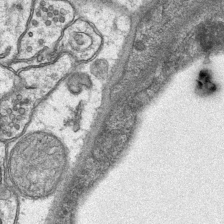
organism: Mouse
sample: CA1 Hippocampus